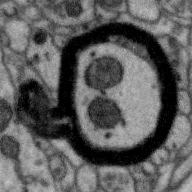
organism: Zebra finch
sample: Brain